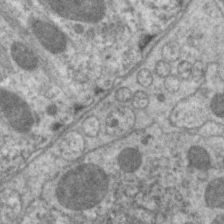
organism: C. elegans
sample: Pharynx